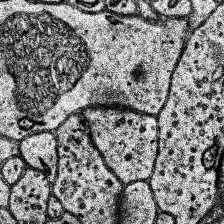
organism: Human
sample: Temporal Lobe